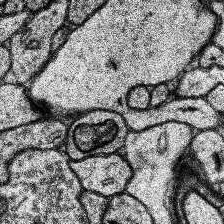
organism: Human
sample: Temporal Lobe